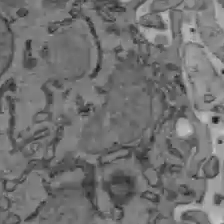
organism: C57BL Mouse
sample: Liver